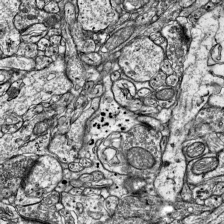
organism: Mouse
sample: Visual Cortex